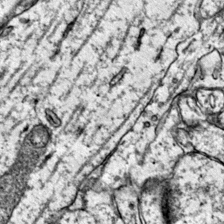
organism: Mouse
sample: Primary visual cortex